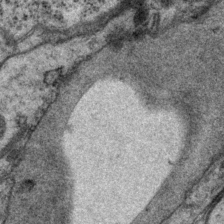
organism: P. pacificus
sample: Pharynx